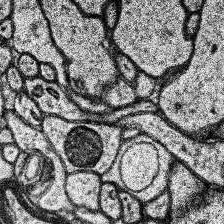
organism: Human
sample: Temporal Lobe